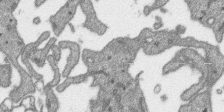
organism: Human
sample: Lung epithelial cells infected with SARS-CoV-2